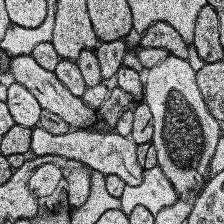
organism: Human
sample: Temporal Lobe